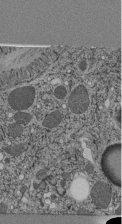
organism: C. elegans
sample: C. elegans pharynx